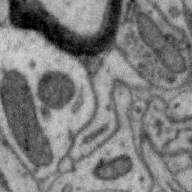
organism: Zebra finch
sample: Brain